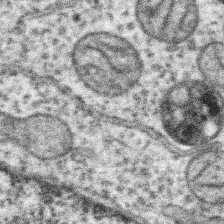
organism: Human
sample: HeLa cells